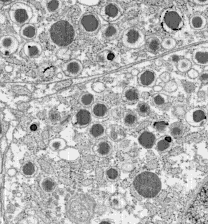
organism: C57BL Mouse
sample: Pancreatic islet